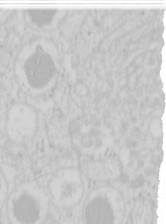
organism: Mouse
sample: Pancreas